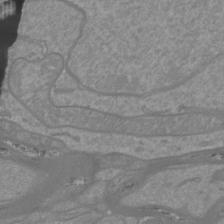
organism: Mouse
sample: Cortical neurons